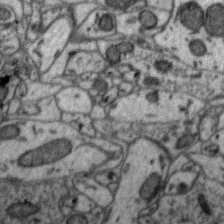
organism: Zebra finch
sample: Brain